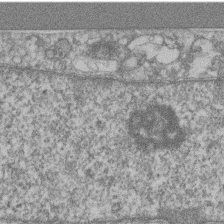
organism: Mouse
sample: T cell stromal cell synapse